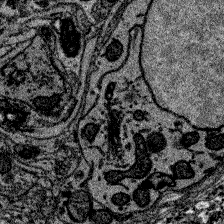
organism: Zebrafish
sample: Larval olfactory bulb